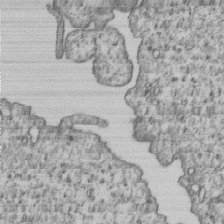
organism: Human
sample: MDA-MB-231 cells